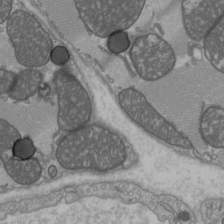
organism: C57BL Mouse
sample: Heart